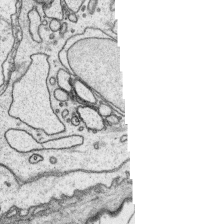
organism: Platynereis dumerilii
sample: Parapodia